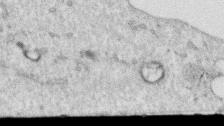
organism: Human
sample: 1205lu cells